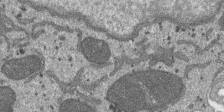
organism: Human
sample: Lung epithelial cells infected with SARS-CoV-2